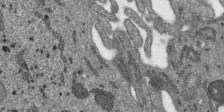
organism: Human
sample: Lung epithelial cells infected with SARS-CoV-2